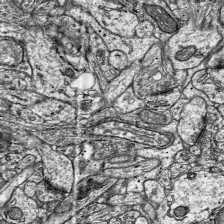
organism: Mouse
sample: Visual Cortex